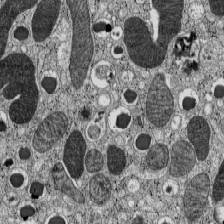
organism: C57BL Mouse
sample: Pancreatic islet